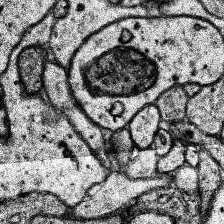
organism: Human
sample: Temporal Lobe